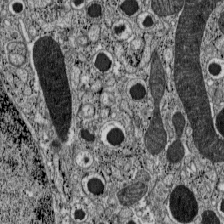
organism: C57BL Mouse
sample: Pancreatic islet